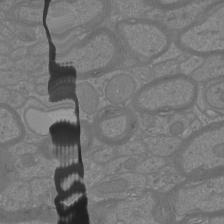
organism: Mouse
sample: Cortical neurons